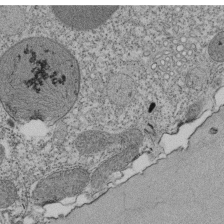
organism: Tetrahymena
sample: Cilia in tetrahymena